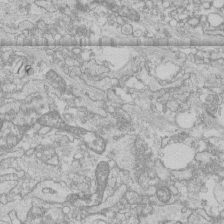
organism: Human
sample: CRL-1474